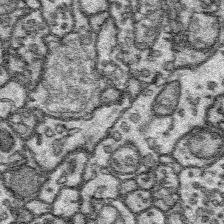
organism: Platynereis dumerilii